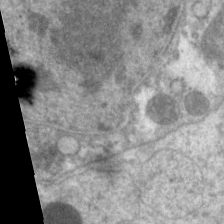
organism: C. elegans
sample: Pharynx